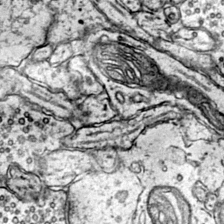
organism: Mouse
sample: Primary visual cortex